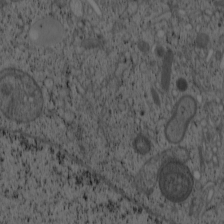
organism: African green monkey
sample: COS-7 cells